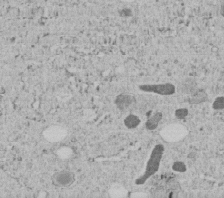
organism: C. elegans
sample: C. elegans embryo early stage